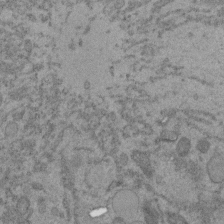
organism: C. elegans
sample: C. elegans embryo early stage